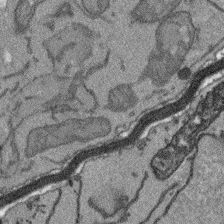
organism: Arabidopsis thaliana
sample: Root tip